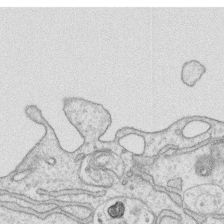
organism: Human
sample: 1205lu cells